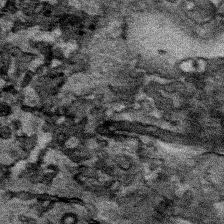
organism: Human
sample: Mitochondria in HCT116 cells